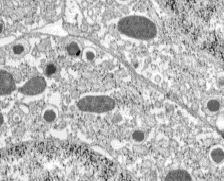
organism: C57BL Mouse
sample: Pancreatic islet